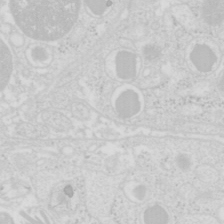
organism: Mouse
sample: Pancreas